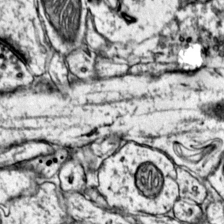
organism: Mouse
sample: Primary visual cortex